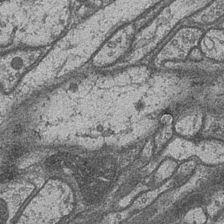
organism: Drosophila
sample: Optic medulla